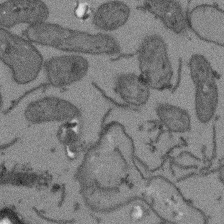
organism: Arabidopsis thaliana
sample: Root tip